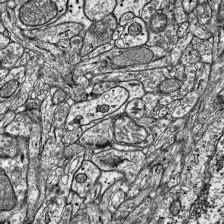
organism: Mouse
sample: Visual Cortex